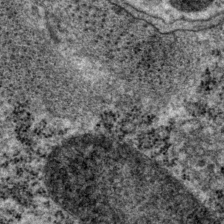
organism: P. pacificus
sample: Pharynx